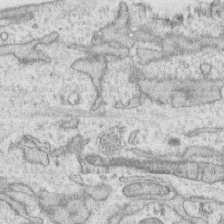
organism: Human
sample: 1205lu cells